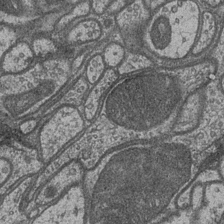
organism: Drosophila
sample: Optic medulla